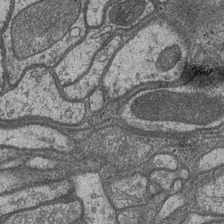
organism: Drosophila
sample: Optic medulla